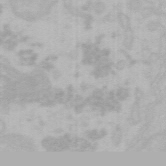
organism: Mouse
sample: Choroid plexus